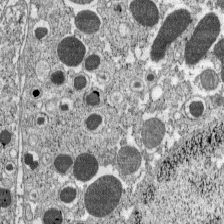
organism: C57BL Mouse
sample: Pancreatic islet